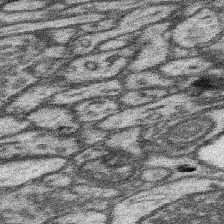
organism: Mouse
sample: Somatosensory cortex neuropil